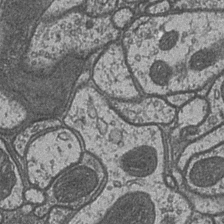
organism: Drosophila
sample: Optic medulla